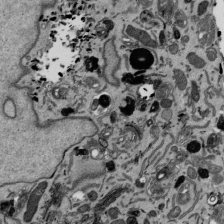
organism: Mouse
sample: ED-1 cell nuclei; centrioles